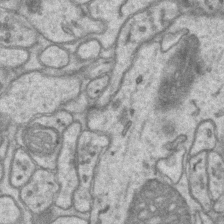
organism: Mouse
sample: CA1 Hippocampus